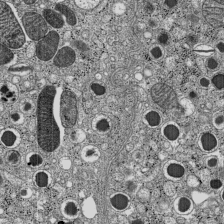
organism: C57BL Mouse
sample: Pancreatic islet